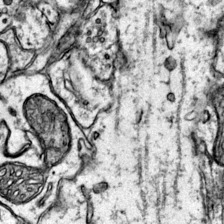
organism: Mouse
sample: Primary visual cortex